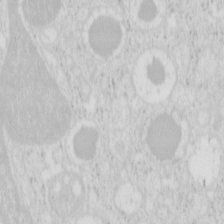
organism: Mouse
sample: Pancreas